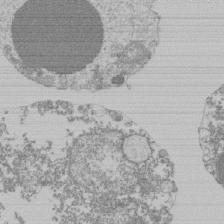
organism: Mouse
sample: Activated Pmel transgenic CD8+ T Cells